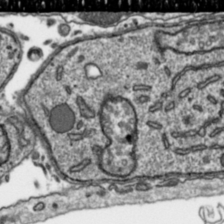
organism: Toxoplasma gondii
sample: Parasites in a vacuole inside a host cell